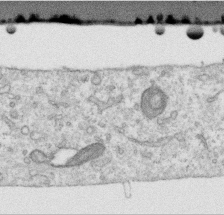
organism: Human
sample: Centriole in RPE cells